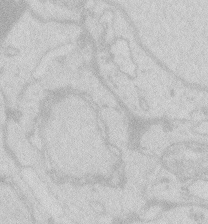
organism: Zebrafish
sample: Macrophage